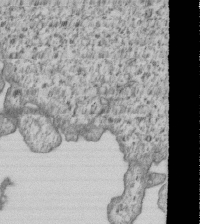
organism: Human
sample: MDA-MB-231 cells